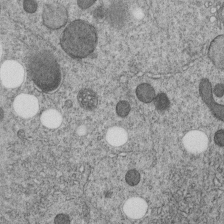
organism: C. elegans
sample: C. elegans embryo early stage